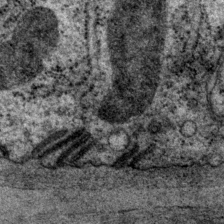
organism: P. pacificus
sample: Pharynx